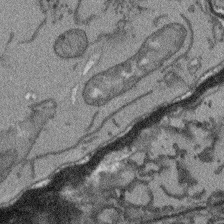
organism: Arabidopsis thaliana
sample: Root tip